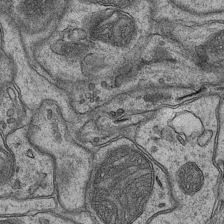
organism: Mouse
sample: CA1 Hippocampus